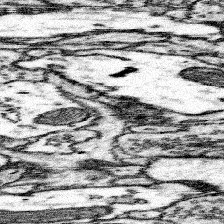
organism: Mouse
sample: Somatosensory cortex neuropil